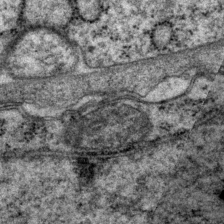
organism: P. pacificus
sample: Pharynx